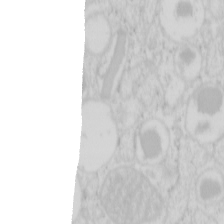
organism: Mouse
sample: Pancreas